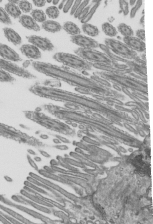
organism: Mouse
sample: Mouse epididymis efferent ductule cilia